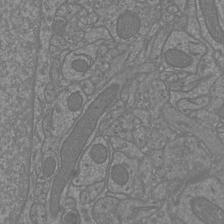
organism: Mouse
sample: Cortical neurons